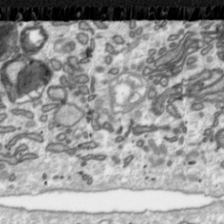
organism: Toxoplasma gondii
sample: Parasites in a vacuole inside a host cell